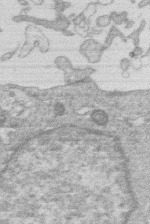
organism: Human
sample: Macrophage cells